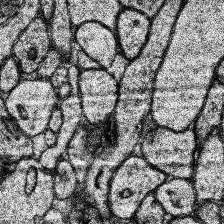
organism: Human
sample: Temporal Lobe